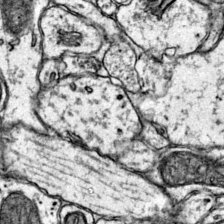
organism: Mouse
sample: Primary visual cortex